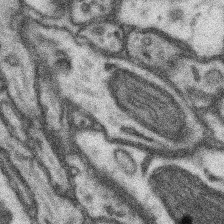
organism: Mouse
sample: Somatosensory cortex neuropil